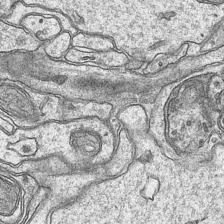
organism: Mouse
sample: CA1 Hippocampus